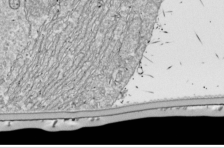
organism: Drosophila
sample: Cell division; meiosis; drosophila spermatocytes